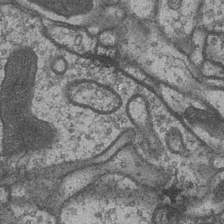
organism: Drosophila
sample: Optic medulla